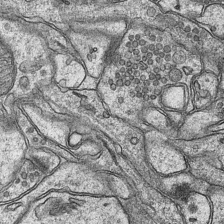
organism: Mouse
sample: CA1 Hippocampus